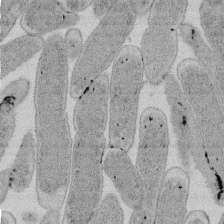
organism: E. coli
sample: Bacterial nucleoid